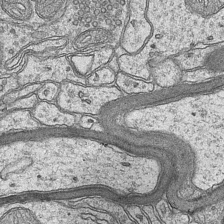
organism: Mouse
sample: CA1 Hippocampus